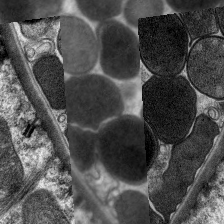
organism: C. elegans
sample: Pharynx